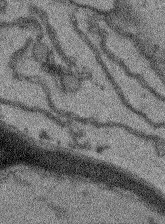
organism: Arabidopsis thaliana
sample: Root tip